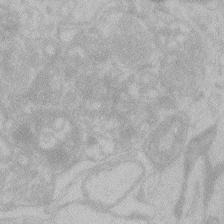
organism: Zebrafish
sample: Macrophage infected with Toxoplasma gondii